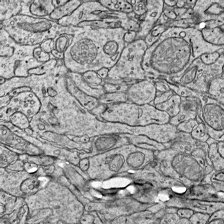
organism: Mouse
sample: Visual Cortex